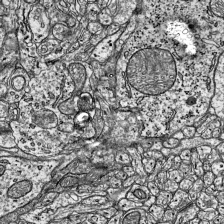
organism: Mouse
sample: Visual Cortex